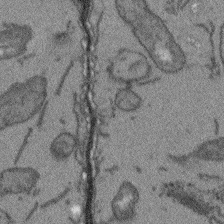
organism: Arabidopsis thaliana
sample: Root tip